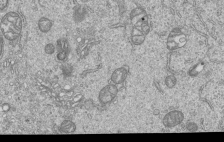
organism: Human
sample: MDA-MB-231 cells